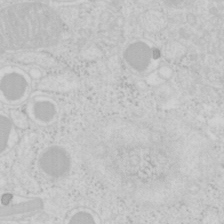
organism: Mouse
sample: Pancreas